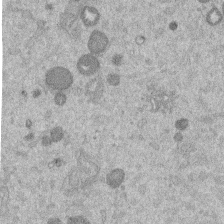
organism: Mouse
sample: Dividing mouse embryo 1 cell stage